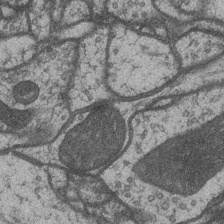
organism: Drosophila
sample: Optic medulla